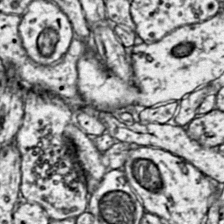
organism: Mouse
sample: Primary visual cortex